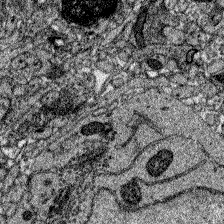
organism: Zebrafish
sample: Larval olfactory bulb